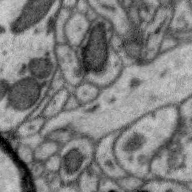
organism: Zebra finch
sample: Brain